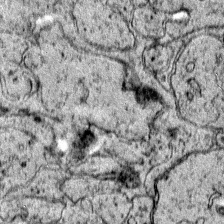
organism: Mouse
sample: Primary visual cortex